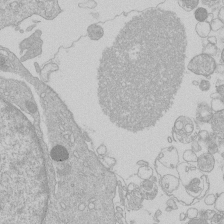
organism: Human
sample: Macrophage cells